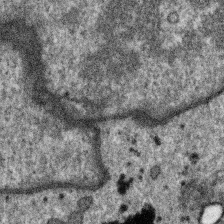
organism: Human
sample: Lung epithelial cells infected with SARS-CoV-2